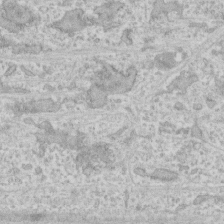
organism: Human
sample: CRL-1474